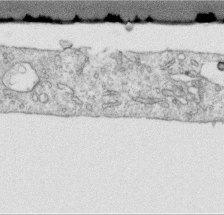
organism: Human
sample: Centriole in RPE cells